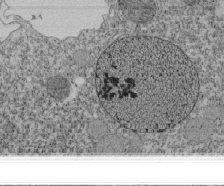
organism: Tetrahymena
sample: Cilia in tetrahymena